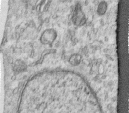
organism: Human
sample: Centriole in RPE cells